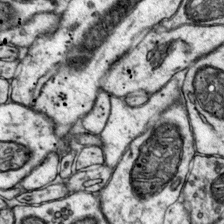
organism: Mouse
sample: Primary visual cortex